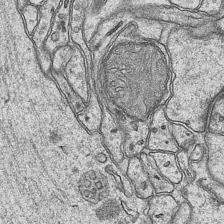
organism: Mouse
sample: CA1 Hippocampus